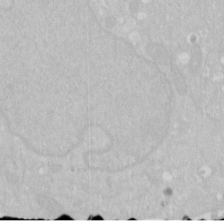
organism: Human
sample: HIV infected U937 cells